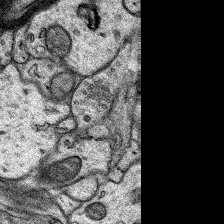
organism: Rat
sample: Hippocampus